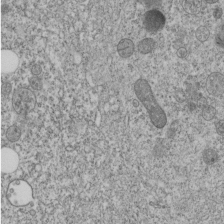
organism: C. elegans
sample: C. elegans embryo early stage